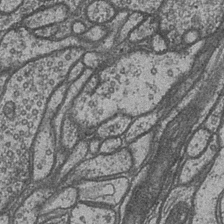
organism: Drosophila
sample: Optic medulla